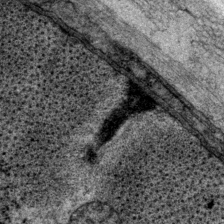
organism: P. pacificus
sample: Pharynx